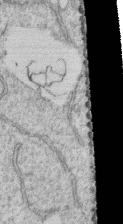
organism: Human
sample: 1205lu cells